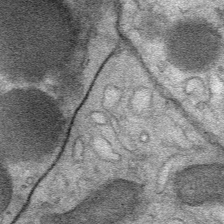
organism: Mouse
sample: Mouse Salivary gland